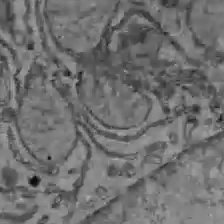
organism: C57BL Mouse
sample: Liver